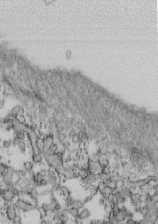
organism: Mouse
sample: Cilia; retinal pigment epithelium